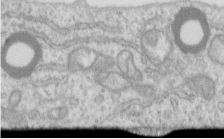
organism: Human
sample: Centriole in RPE cells